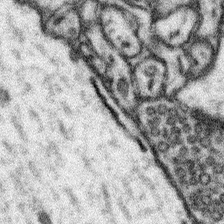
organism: Mouse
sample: Somatosensory cortex neuropil